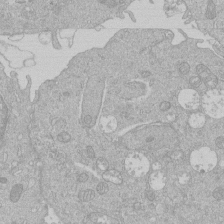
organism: Human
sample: Macrophage cells